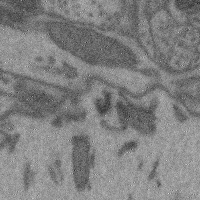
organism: Mouse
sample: Cerebral cortex